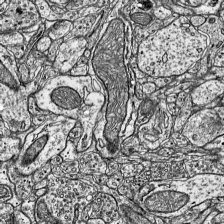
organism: Mouse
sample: Visual Cortex